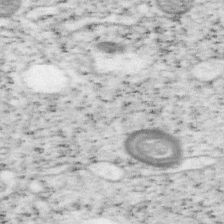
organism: Mouse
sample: OT-I killer T cells with ID8 ovarian cancer cells